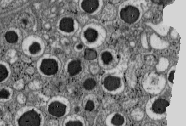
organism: C57BL Mouse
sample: Pancreatic islet